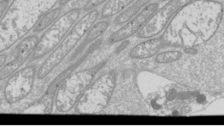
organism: Drosophila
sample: Cell division; meiosis; drosophila spermatocytes